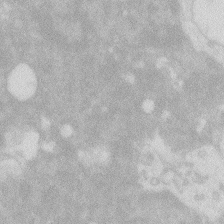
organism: Zebrafish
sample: Macrophage